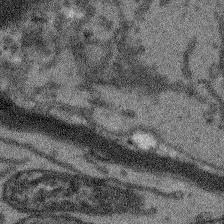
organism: Arabidopsis thaliana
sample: Root tip